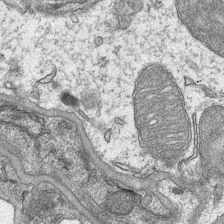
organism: Mouse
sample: CA1 Hippocampus